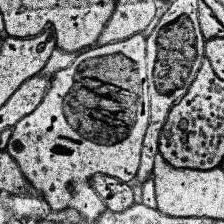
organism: Human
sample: Temporal Lobe